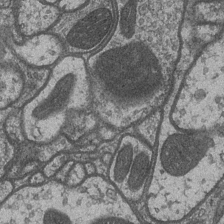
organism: Drosophila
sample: Optic medulla